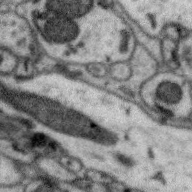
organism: Zebra finch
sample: Brain